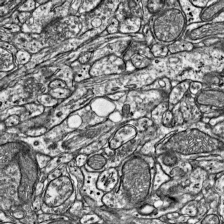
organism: Mouse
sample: Visual Cortex